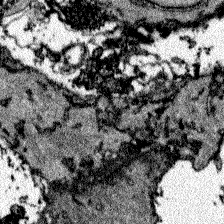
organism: Zebrafish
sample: Larval olfactory bulb